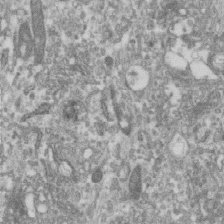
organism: Human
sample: Centriole in RPE cells